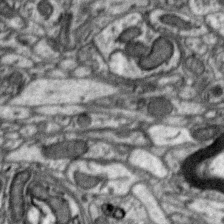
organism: Zebra finch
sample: Brain